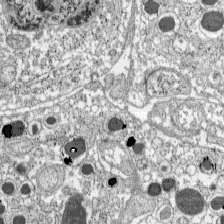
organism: C57BL Mouse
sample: Pancreatic islet